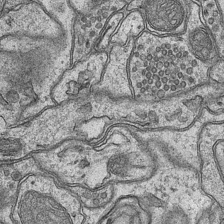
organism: Mouse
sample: CA1 Hippocampus